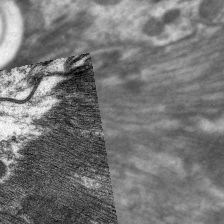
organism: C. elegans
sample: Pharynx